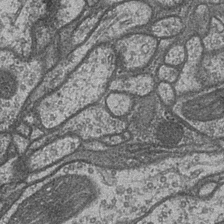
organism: Drosophila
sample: Optic medulla